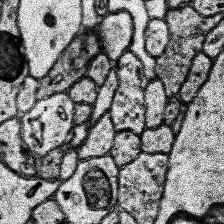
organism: Human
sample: Temporal Lobe